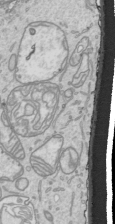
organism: Human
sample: Mitochondria in HCT116 cells